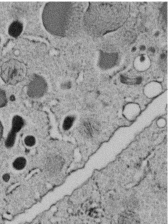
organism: C. elegans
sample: C. elegans embryo early stage